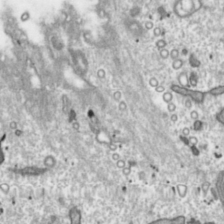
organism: Toxoplasma gondii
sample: Parasites in a vacuole inside a host cell